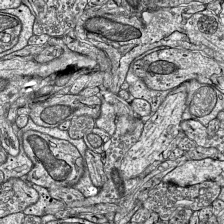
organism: Mouse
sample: Visual Cortex